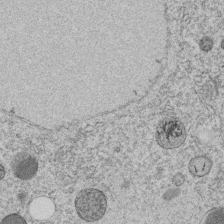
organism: C. elegans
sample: C. elegans embryo early stage